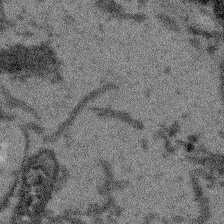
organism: Arabidopsis thaliana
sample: Root tip